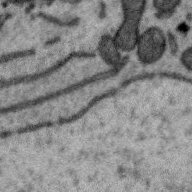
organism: Zebra finch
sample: Brain